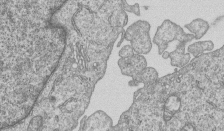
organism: Human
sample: MDA-MB-231 cells